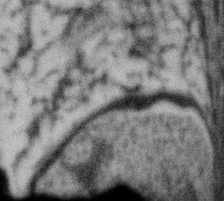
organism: Gemmata obscuriglobus